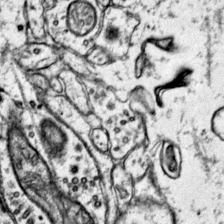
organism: Mouse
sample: Primary visual cortex